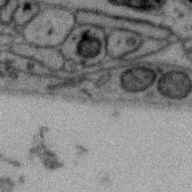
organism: Zebra finch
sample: Brain